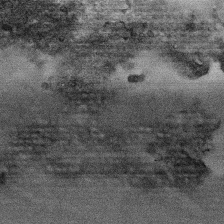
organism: Human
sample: CRL-1474